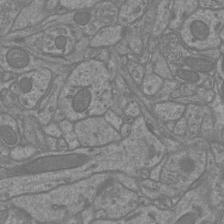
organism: Mouse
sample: Cortical neurons